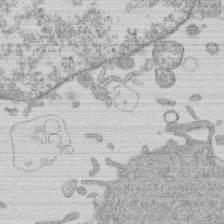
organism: Human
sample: Macrophage cells